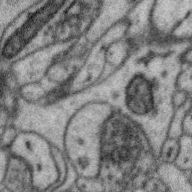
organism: Zebra finch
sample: Brain